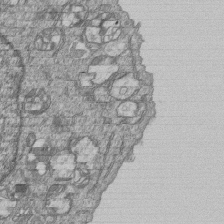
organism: Human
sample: MDA-MB-231 cells